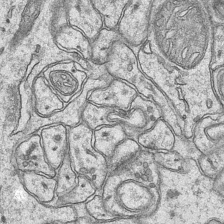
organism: Mouse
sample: CA1 Hippocampus